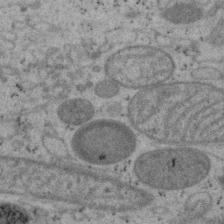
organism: Human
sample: HeLa cells